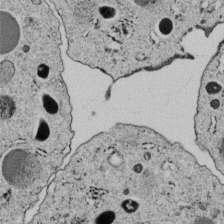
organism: C. elegans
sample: C. elegans embryo early stage